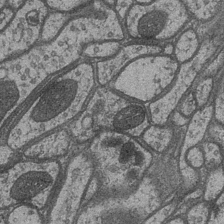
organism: Drosophila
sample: Optic medulla